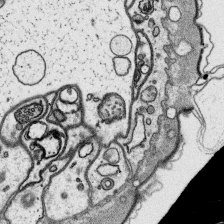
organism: Platynereis dumerilii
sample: Parapodia